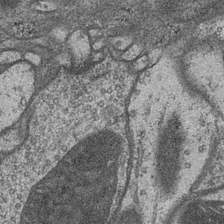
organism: Drosophila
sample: Optic medulla